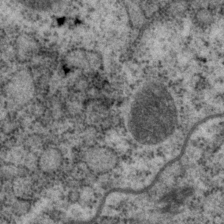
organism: P. pacificus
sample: Pharynx